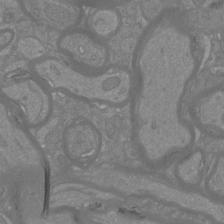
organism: Mouse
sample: Cortical neurons